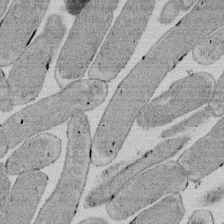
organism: E. coli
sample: Bacterial nucleoid